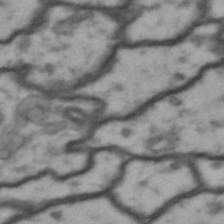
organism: Drosophila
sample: Brain